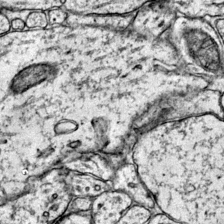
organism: Mouse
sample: Primary visual cortex